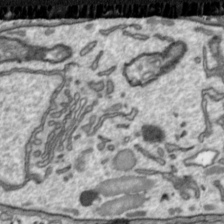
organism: Toxoplasma gondii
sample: Parasites in a vacuole inside a host cell